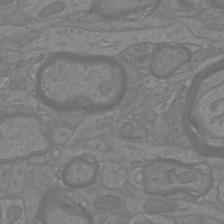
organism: Mouse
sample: Cortical neurons